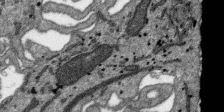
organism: Human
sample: Lung epithelial cells, uninfected (mock) control